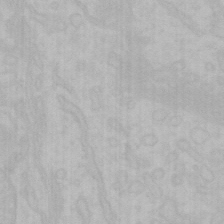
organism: Mouse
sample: Choroid plexus